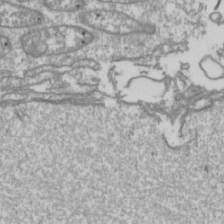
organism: Drosophila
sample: Cell division; meiosis; drosophila spermatocytes